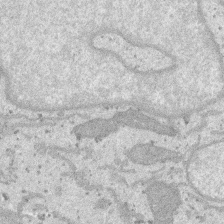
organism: Human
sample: Lung epithelial cells infected with SARS-CoV-2